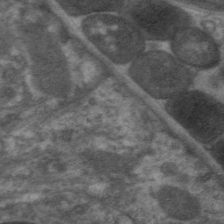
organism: C. elegans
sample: Pharynx